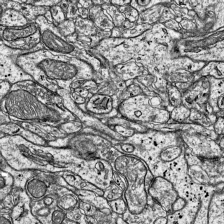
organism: Mouse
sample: Visual Cortex